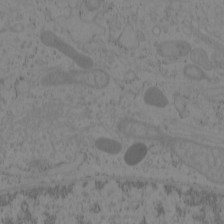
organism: Human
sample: HeLa cells